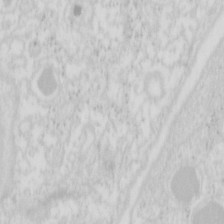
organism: Mouse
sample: Pancreas